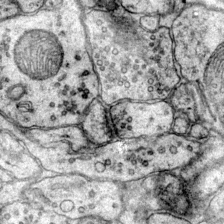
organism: Mouse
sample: Primary visual cortex